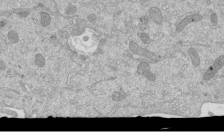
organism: Mouse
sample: ED-1 cell nuclei; centrioles